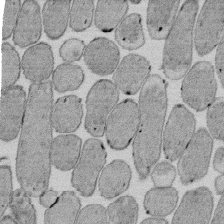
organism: E. coli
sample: Bacterial nucleoid